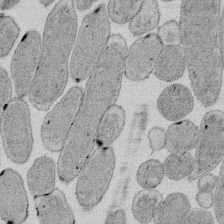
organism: E. coli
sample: Bacterial nucleoid